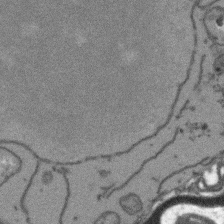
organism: Arabidopsis thaliana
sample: Root tip